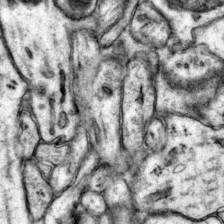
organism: Mouse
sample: Primary visual cortex